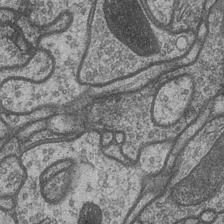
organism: Drosophila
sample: Optic medulla